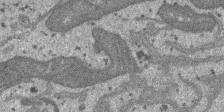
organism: Human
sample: Lung epithelial cells infected with SARS-CoV-2